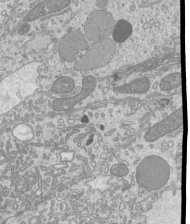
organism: Mouse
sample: Cilia; mouse epididymis